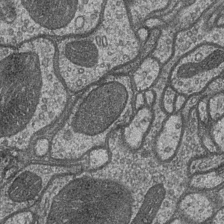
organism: Drosophila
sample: Optic medulla